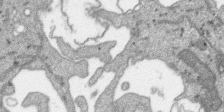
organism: Human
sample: Lung epithelial cells infected with SARS-CoV-2